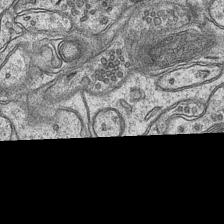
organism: Mouse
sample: CA1 Hippocampus